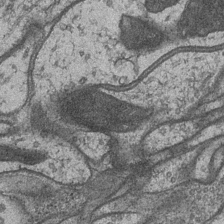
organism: Drosophila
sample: Optic medulla